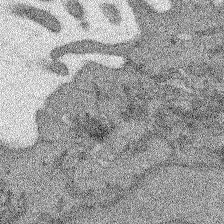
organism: Human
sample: HeLa cells